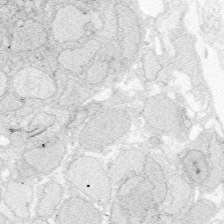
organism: Zebrafish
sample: Whole-Brain